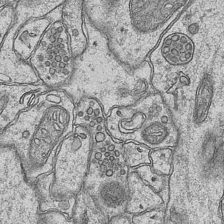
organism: Mouse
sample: CA1 Hippocampus